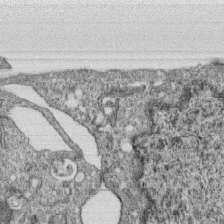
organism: African green monkey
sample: Vero E6 cells infected with SARS-CoV-2